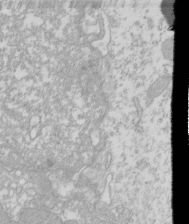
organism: Xenopus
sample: Cilia; centrioles in frog embryo cells